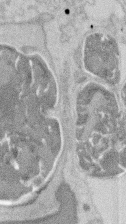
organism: Mouse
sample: T cell stromal cell synapse